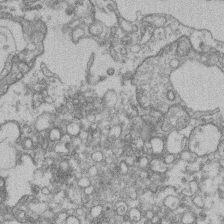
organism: Mouse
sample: T cell stromal cell synapse